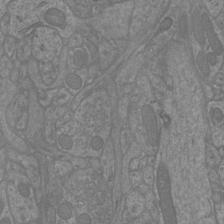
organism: Mouse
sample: Cortical neurons